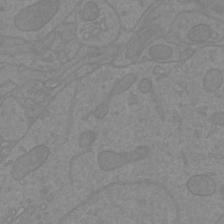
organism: Mouse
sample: Cortical neurons